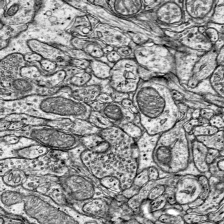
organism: Mouse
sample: Visual Cortex